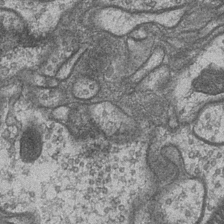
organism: Drosophila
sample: Optic medulla